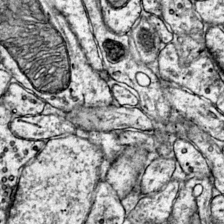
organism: Mouse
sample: Primary visual cortex